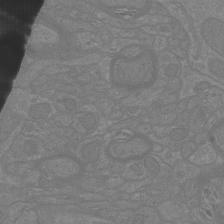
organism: Mouse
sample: Cortical neurons